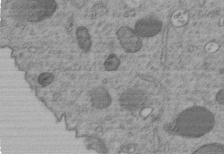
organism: C. elegans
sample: C. elegans embryo early stage